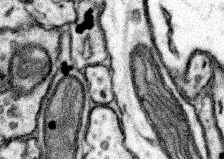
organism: Mouse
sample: Somatosensory cortex neuropil